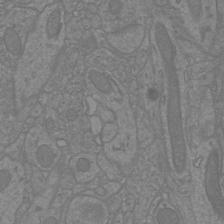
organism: Mouse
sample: Cortical neurons